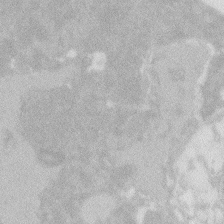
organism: Zebrafish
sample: Macrophage